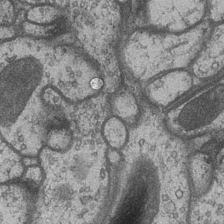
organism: Drosophila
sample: Optic medulla